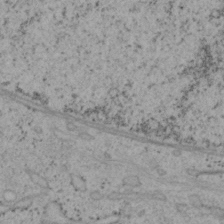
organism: Human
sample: HeLa cells